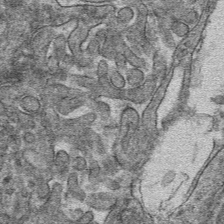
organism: Mouse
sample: Mouse hepatocytes